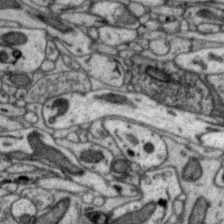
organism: Zebra finch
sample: Brain